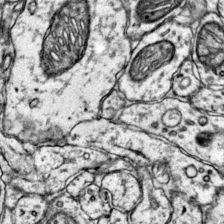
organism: Mouse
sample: Primary visual cortex